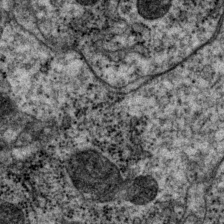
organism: P. pacificus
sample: Pharynx